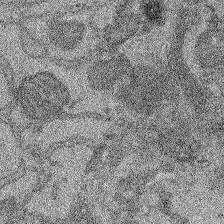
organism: Human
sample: HeLa cells